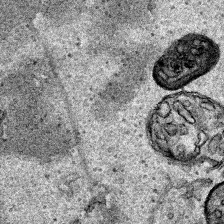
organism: Human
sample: Mitochondria in HCT116 cells